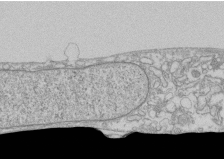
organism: Human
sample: CRL-1474